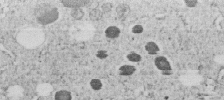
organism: C. elegans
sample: C. elegans embryo early stage